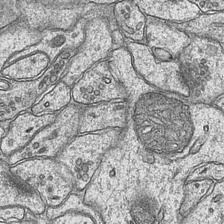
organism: Mouse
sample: CA1 Hippocampus